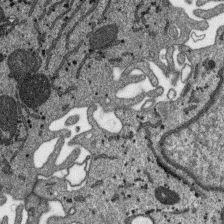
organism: Human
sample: Lung epithelial cells infected with SARS-CoV-2